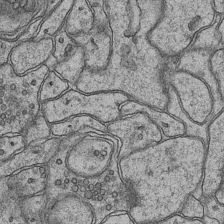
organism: Mouse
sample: CA1 Hippocampus